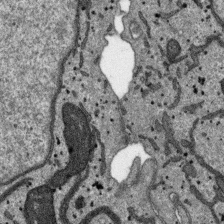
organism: Human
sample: Lung epithelial cells, uninfected (mock) control